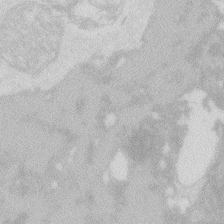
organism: Zebrafish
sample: Macrophage